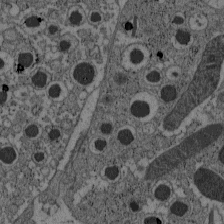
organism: C57BL Mouse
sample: Pancreatic islet